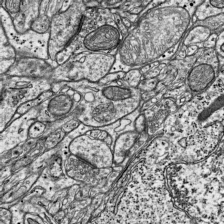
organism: Mouse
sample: Visual Cortex